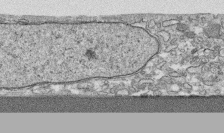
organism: Human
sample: CRL-1474